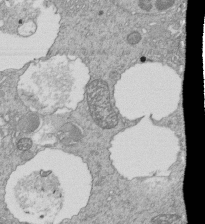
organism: Tetrahymena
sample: Cilia in tetrahymena